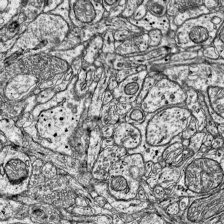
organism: Mouse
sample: Visual Cortex